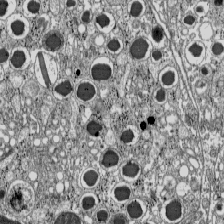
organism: C57BL Mouse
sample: Pancreatic islet